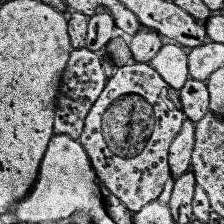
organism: Human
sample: Temporal Lobe